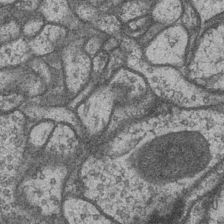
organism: Drosophila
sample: Optic medulla